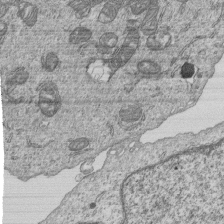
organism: Human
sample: MDA-MB-231 cells